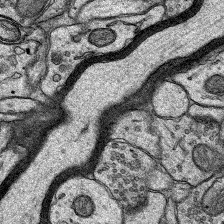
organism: Rat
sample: Hippocampus